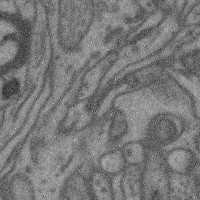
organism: Mouse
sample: Cerebral cortex